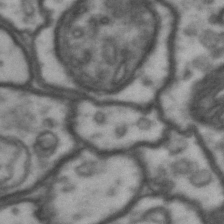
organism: Drosophila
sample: Brain